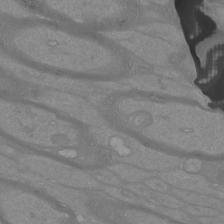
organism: Mouse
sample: Cortical neurons